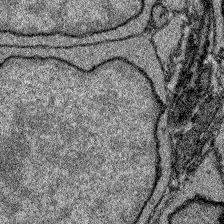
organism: Zebrafish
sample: Larval olfactory bulb